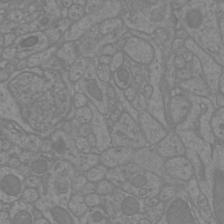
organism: Mouse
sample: Cortical neurons